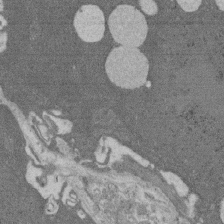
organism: Rat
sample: Salivary granule